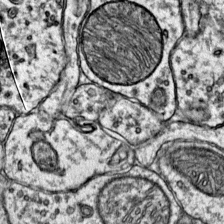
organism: Mouse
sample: Primary visual cortex